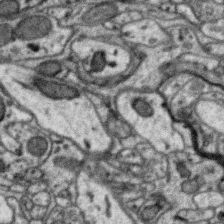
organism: Zebra finch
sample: Brain